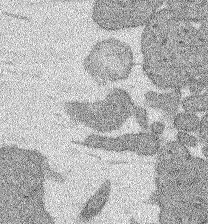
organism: Human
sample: HeLa cells